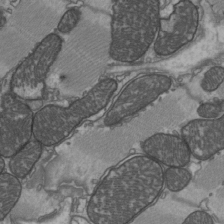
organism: C57BL Mouse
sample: Heart